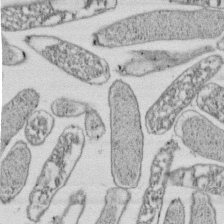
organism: E. coli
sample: Bacterial nucleoid